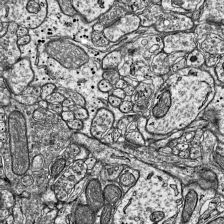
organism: Mouse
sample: Visual Cortex